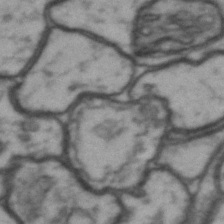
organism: Drosophila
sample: Brain